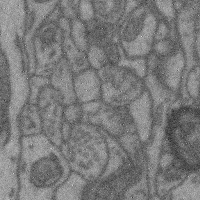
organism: Mouse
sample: Cerebral cortex